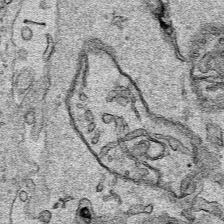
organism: Human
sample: Mitochondria in HCT116 cells